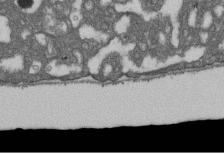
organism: Drosophila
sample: Nephrocyte